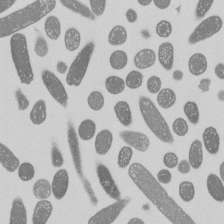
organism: E. coli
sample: Bacterial nucleoid